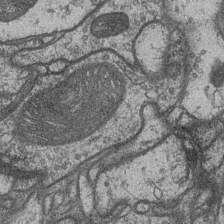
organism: Drosophila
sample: Optic medulla